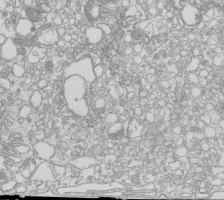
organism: Mouse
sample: Macrophages